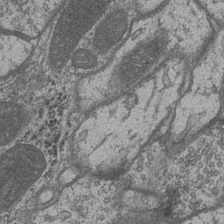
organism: Drosophila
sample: Optic medulla